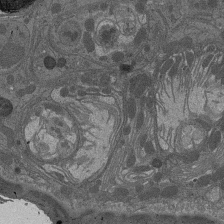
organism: Drosophila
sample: Antenna